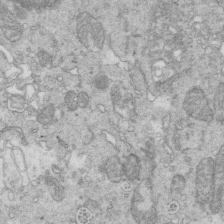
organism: Mouse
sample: Multiciliated cells